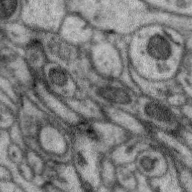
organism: Zebra finch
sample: Brain